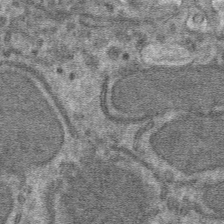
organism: Mouse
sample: Mouse hepatocytes